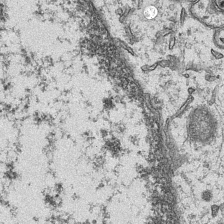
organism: Mouse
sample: CA1 Hippocampus